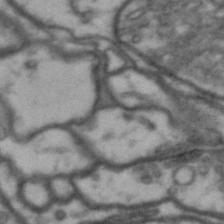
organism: Drosophila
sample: Brain